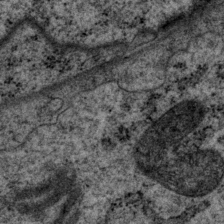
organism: P. pacificus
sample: Pharynx